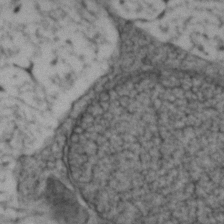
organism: Zebrafish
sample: Zebrafish embryo